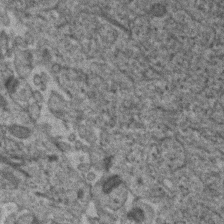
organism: Human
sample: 1205lu cells